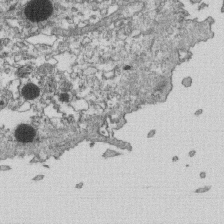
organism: Human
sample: HeLa cell HIV synapse